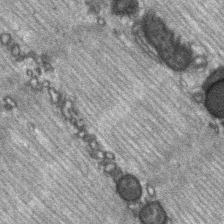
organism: C57BL Mouse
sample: Soleus